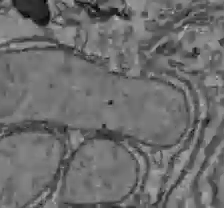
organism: C57BL Mouse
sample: Liver